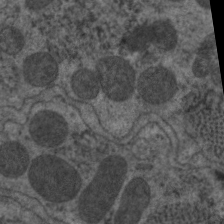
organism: C. elegans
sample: Pharynx